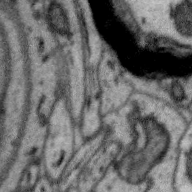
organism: Zebra finch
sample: Brain